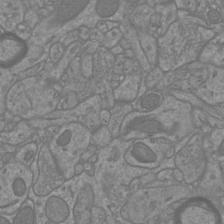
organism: Mouse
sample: Cortical neurons